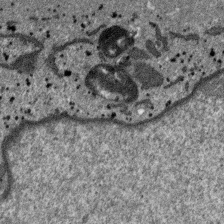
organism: Human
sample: Lung epithelial cells, uninfected (mock) control